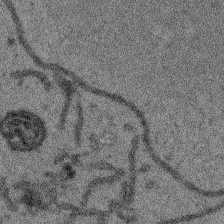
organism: Arabidopsis thaliana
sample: Root tip